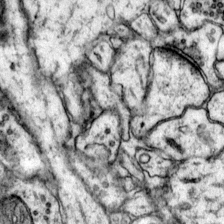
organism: Mouse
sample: Primary visual cortex